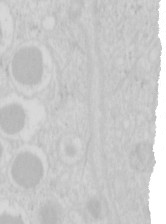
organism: Mouse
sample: Pancreas